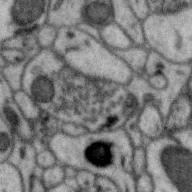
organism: Zebra finch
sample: Brain